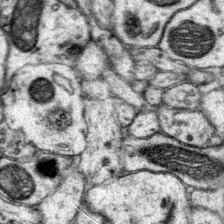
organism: Mouse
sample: Primary visual cortex